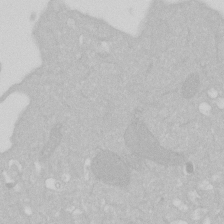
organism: Human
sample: HIV infected U937 cells